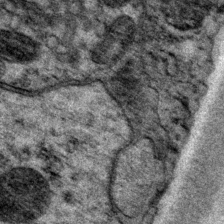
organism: P. pacificus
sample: Pharynx